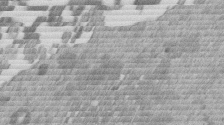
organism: Mouse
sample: Dividing mouse embryo 1 cell stage